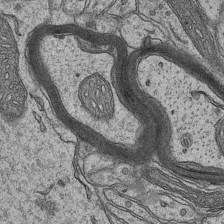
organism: Mouse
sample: CA1 Hippocampus